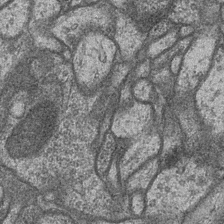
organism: Drosophila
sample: Optic medulla